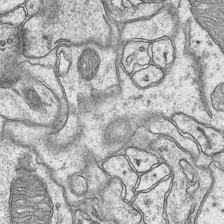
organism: Mouse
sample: CA1 Hippocampus